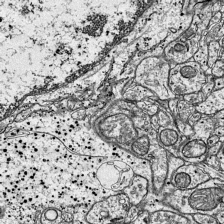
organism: Mouse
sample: Visual Cortex